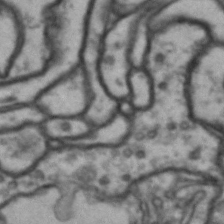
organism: Drosophila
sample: Brain